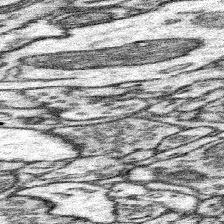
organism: Mouse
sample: Somatosensory cortex neuropil